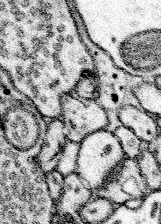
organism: Mouse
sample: Somatosensory cortex neuropil